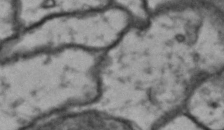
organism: Drosophila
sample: Brain